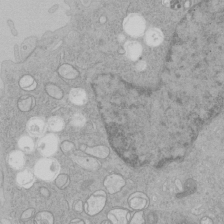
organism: Human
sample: Mitochondria in HCT116 cells